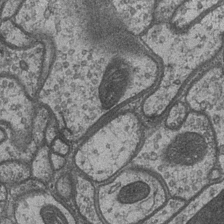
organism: Drosophila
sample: Optic medulla